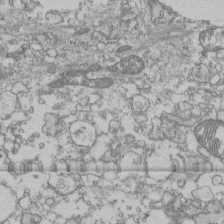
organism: Human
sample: Fibroblast cells